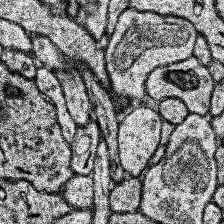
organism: Human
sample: Temporal Lobe